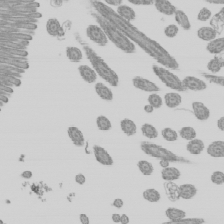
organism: Mouse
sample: Cilia; mouse epididymis